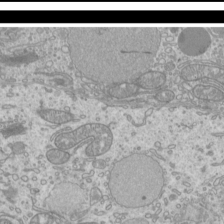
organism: Mouse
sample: Cilia; mouse epididymis